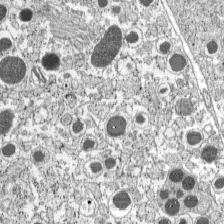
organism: C57BL Mouse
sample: Pancreatic islet